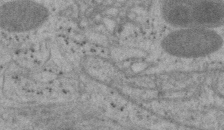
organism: Human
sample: HeLa cells